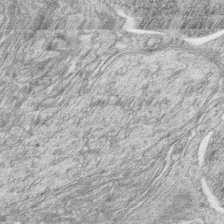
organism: Zebrafish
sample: synaptic ribbons in rod cells and cone cells